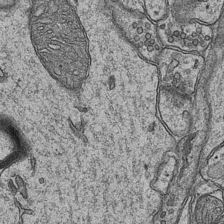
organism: Mouse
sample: CA1 Hippocampus